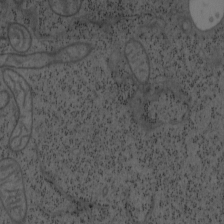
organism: Mouse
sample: OT-I killer T cells with ID8 ovarian cancer cells